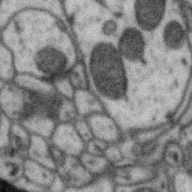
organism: Zebra finch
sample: Brain